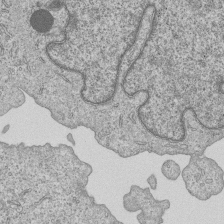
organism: Human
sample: MDA-MB-231 cells